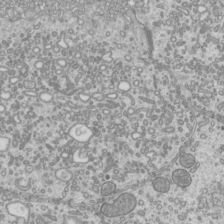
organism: Mouse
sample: Cilia; mouse epididymis